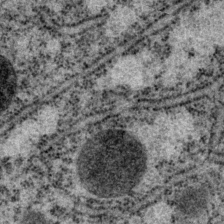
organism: P. pacificus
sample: Pharynx